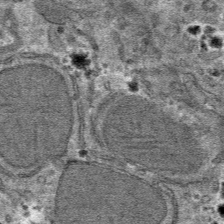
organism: Mouse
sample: Mouse hepatocytes